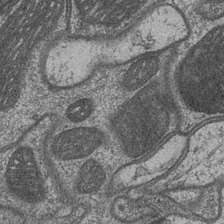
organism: Drosophila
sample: Optic medulla